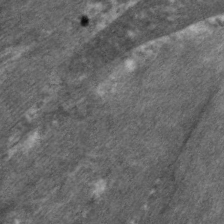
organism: C. elegans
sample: Pharynx